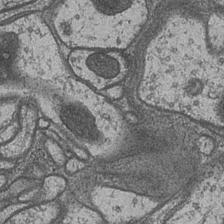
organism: Drosophila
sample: Optic medulla